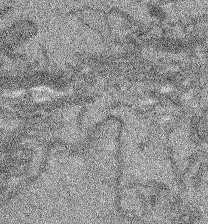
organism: Human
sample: HeLa cells